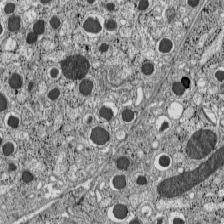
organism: C57BL Mouse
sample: Pancreatic islet